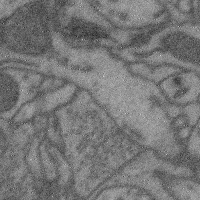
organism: Mouse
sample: Cerebral cortex